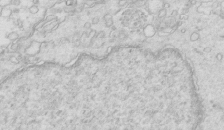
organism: Mouse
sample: Multiciliated cells